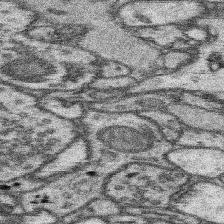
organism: Mouse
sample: Somatosensory cortex neuropil